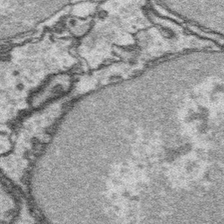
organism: Platynereis dumerilii